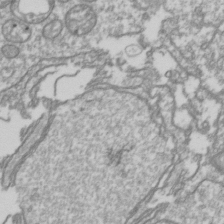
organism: Drosophila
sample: Cell division; meiosis; drosophila spermatocytes